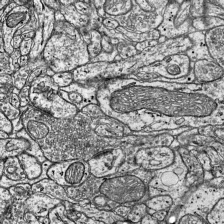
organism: Mouse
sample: Visual Cortex